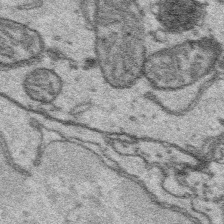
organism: Platynereis dumerilii